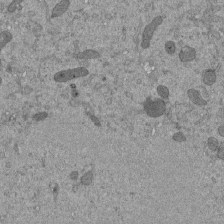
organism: Mouse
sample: ED-1 cell nuclei; centrioles